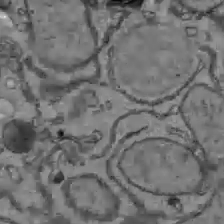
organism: C57BL Mouse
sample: Liver